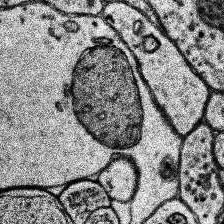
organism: Human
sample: Temporal Lobe